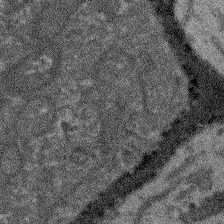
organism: Arabidopsis thaliana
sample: Root tip